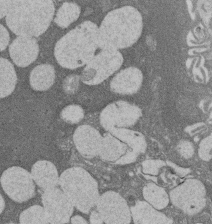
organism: Rat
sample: Salivary granule